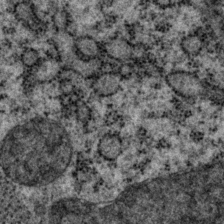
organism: P. pacificus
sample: Pharynx